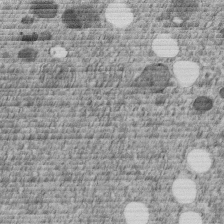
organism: C. elegans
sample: C. elegans embryo early stage